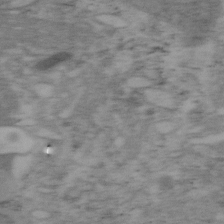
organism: Mouse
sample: OT-I killer T cells with ID8 ovarian cancer cells